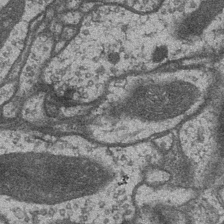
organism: Drosophila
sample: Optic medulla